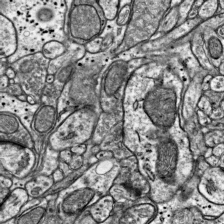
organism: Mouse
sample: Visual Cortex